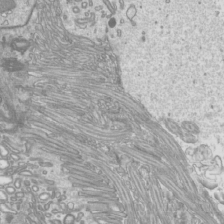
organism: Mouse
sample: Cilia; mouse epididymis